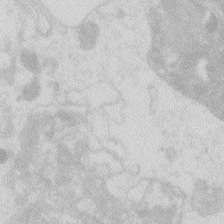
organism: Zebrafish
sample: Macrophage